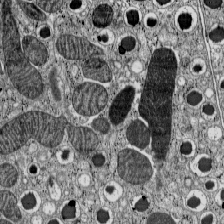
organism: C57BL Mouse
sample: Pancreatic islet